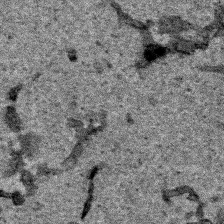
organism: Human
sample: Mitochondria in HCT116 cells